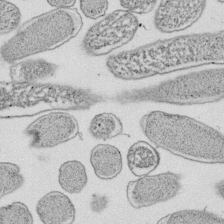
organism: E. coli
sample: Bacterial nucleoid